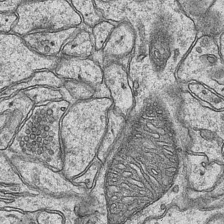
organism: Mouse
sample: CA1 Hippocampus